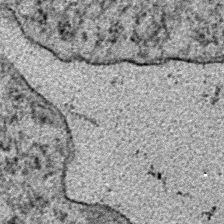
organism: E. coli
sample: E. Coli Bacteria